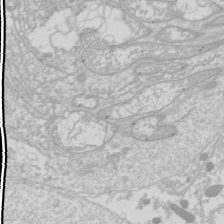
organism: Drosophila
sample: Cell division; meiosis; drosophila spermatocytes